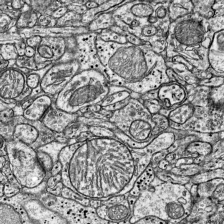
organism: Mouse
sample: Visual Cortex